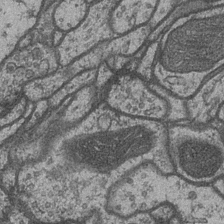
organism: Drosophila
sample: Optic medulla